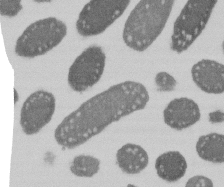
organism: E. coli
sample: Bacterial nucleoid